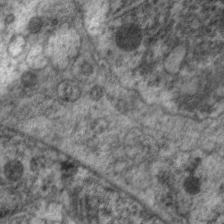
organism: C. elegans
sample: Pharynx